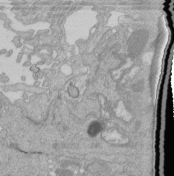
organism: Human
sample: Retinal organoid Rod and Cone cells